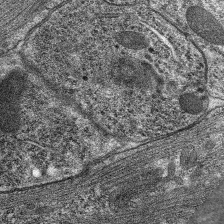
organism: C. elegans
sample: Pharynx